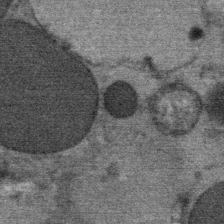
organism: Mouse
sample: Mouse Salivary gland